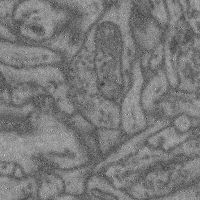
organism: Mouse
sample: Cerebral cortex